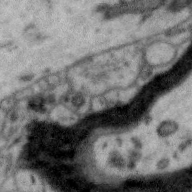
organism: Zebra finch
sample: Brain